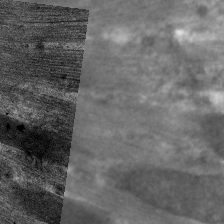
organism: C. elegans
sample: Pharynx